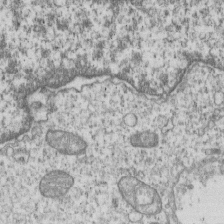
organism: Human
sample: MDA-MB-231 cells